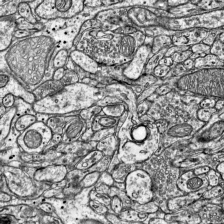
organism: Mouse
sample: Visual Cortex